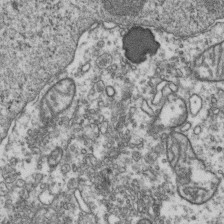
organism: Human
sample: Activated Jurkat CD4+ T cells